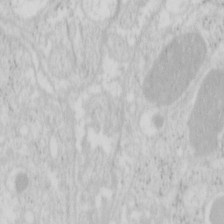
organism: Mouse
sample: Pancreas